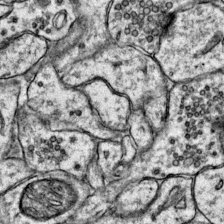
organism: Mouse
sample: Primary visual cortex